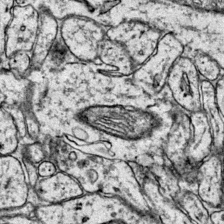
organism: Mouse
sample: Primary visual cortex